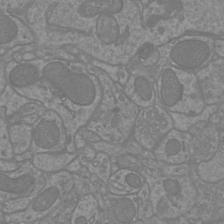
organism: Mouse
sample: Cortical neurons